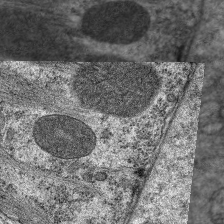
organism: C. elegans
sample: Pharynx